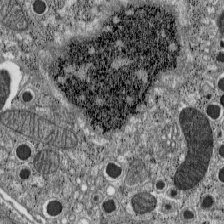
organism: C57BL Mouse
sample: Pancreatic islet